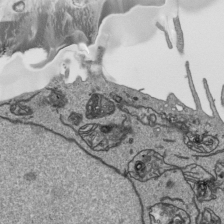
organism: Human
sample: Mitochondria in HCT116 cells